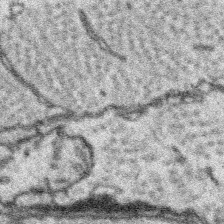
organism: Platynereis dumerilii